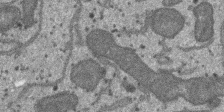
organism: Human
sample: Lung epithelial cells infected with SARS-CoV-2